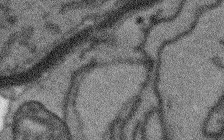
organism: Arabidopsis thaliana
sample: Root tip